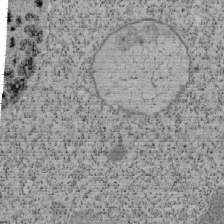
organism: Tetrahymena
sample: Cilia in tetrahymena